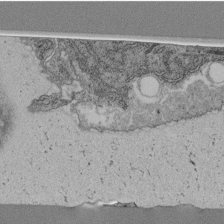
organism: C. elegans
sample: C. elegans pharynx